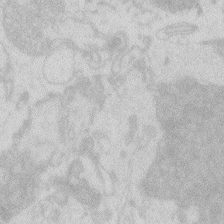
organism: Zebrafish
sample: Macrophage